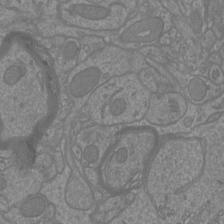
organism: Mouse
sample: Cortical neurons